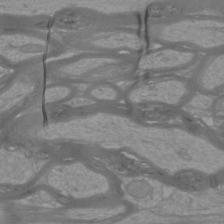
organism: Mouse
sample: Cortical neurons